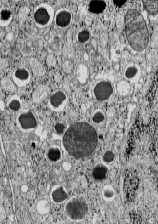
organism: C57BL Mouse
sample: Pancreatic islet